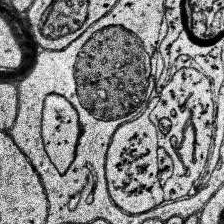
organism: Human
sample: Temporal Lobe